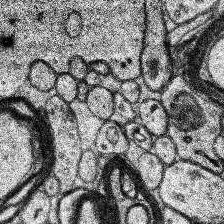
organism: Human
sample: Temporal Lobe